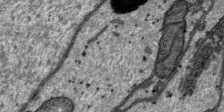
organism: Human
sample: Lung epithelial cells, uninfected (mock) control